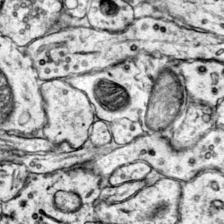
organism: Mouse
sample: Primary visual cortex